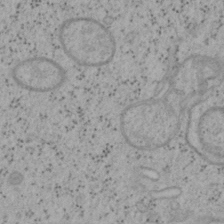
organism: Human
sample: HeLa cells